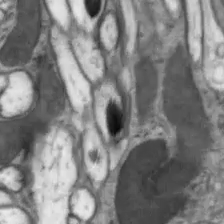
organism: Drosophila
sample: Optic lobe